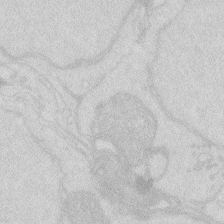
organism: Zebrafish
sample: Macrophage